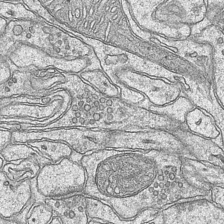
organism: Mouse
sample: CA1 Hippocampus